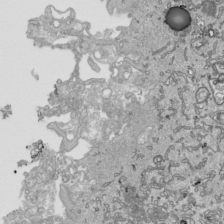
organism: Human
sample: Mitochondria in HCT116 cells